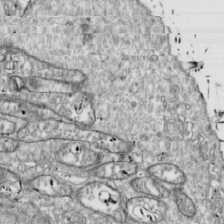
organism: Drosophila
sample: Cell division; meiosis; drosophila spermatocytes